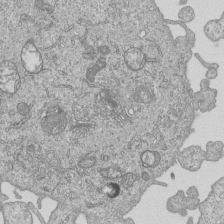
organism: Human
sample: MDA-MB-231 cells